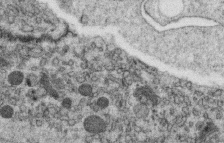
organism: C. elegans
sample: C. elegans oocyte; sperm cells